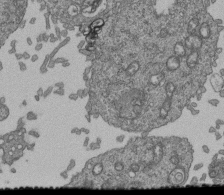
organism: Human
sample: Retinal organoid Rod and Cone cells